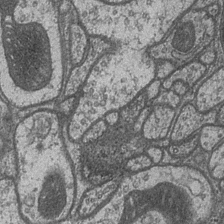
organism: Drosophila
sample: Optic medulla